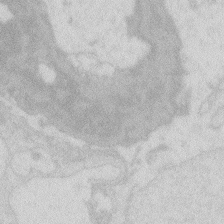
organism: Zebrafish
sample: Macrophage